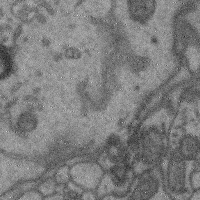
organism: Mouse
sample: Cerebral cortex